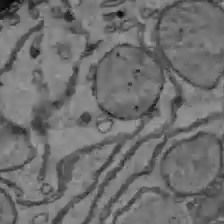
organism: C57BL Mouse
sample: Liver